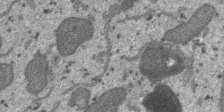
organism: Human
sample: Lung epithelial cells infected with SARS-CoV-2